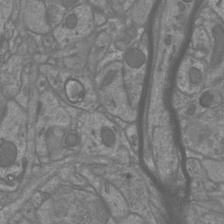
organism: Mouse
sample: Cortical neurons